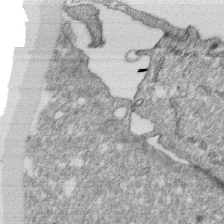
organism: African green monkey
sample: Vero E6 cells infected with SARS-CoV-2